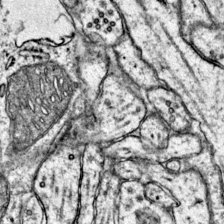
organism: Mouse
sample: Primary visual cortex